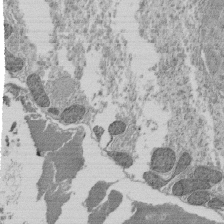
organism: Tetrahymena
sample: Cilia in tetrahymena